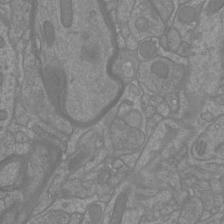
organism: Mouse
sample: Cortical neurons